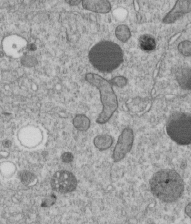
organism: C. elegans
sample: C. elegans embryo early stage